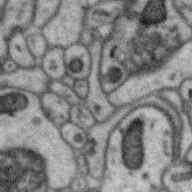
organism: Zebra finch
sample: Brain